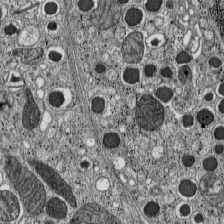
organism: C57BL Mouse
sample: Pancreatic islet